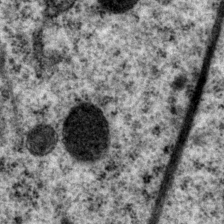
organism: P. pacificus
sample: Pharynx